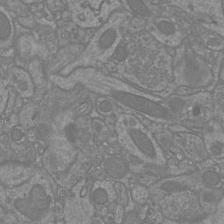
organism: Mouse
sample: Cortical neurons